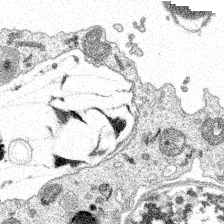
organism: Spongilla lacustris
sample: Multiple